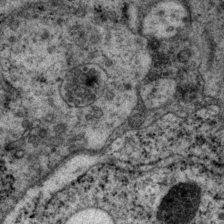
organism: P. pacificus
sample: Pharynx